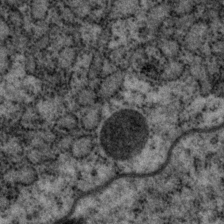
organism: P. pacificus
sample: Pharynx